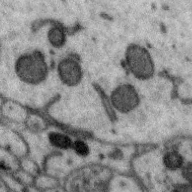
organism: Zebra finch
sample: Brain